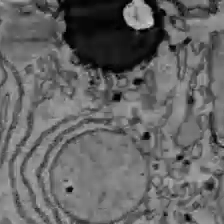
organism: C57BL Mouse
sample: Liver